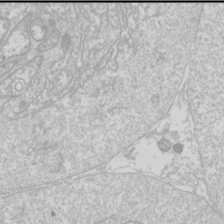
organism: Drosophila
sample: Cell division; meiosis; drosophila spermatocytes